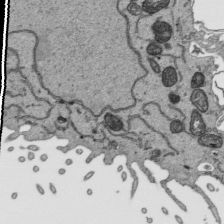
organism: Human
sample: Mitochondria in HCT116 cells